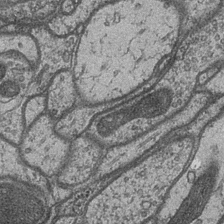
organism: Drosophila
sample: Optic medulla